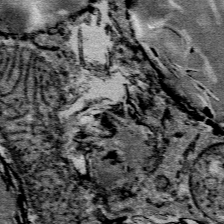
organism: Mouse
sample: Mouse Salivary gland